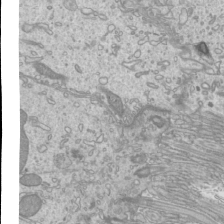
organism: Mouse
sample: Cilia; mouse epididymis